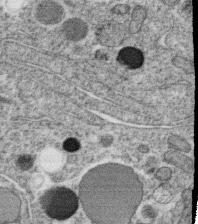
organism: C. elegans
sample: C. elegans oocyte; sperm cells